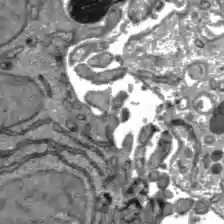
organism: C57BL Mouse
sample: Liver